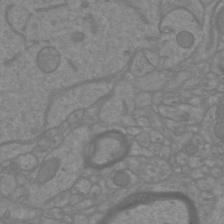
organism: Mouse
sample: Cortical neurons